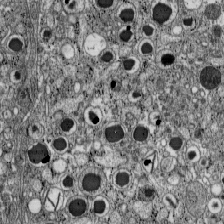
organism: C57BL Mouse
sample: Pancreatic islet